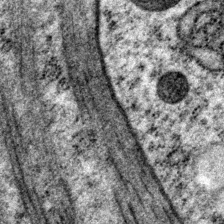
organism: P. pacificus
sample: Pharynx